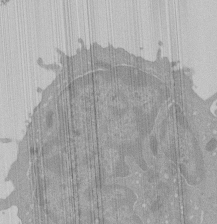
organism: Mouse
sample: Activated Pmel transgenic CD8+ T Cells